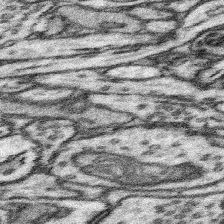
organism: Mouse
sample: Somatosensory cortex neuropil